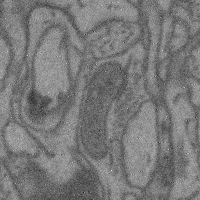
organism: Mouse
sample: Cerebral cortex